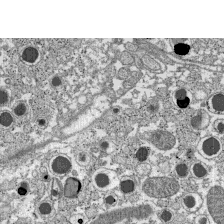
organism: C57BL Mouse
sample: Pancreatic islet